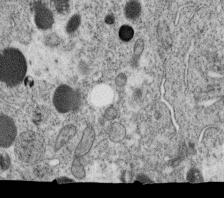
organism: C. elegans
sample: C. elegans oocyte; sperm cells